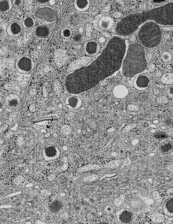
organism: C57BL Mouse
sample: Pancreatic islet